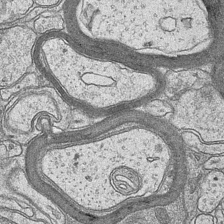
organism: Mouse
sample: CA1 Hippocampus